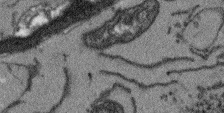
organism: Arabidopsis thaliana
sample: Root tip